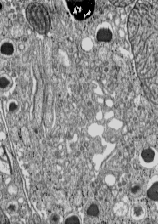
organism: C57BL Mouse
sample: Pancreatic islet